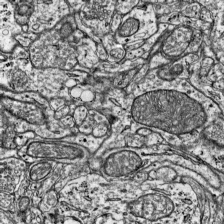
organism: Mouse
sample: Visual Cortex